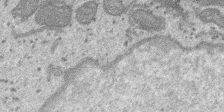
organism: Human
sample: Lung epithelial cells infected with SARS-CoV-2